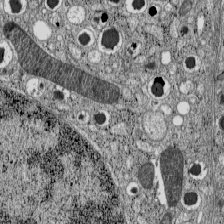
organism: C57BL Mouse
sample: Pancreatic islet